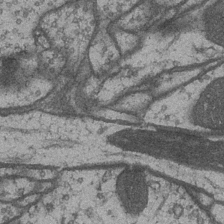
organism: Drosophila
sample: Optic medulla